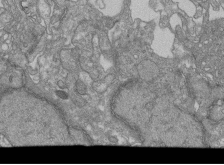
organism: Human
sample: Retinal organoid Rod and Cone cells